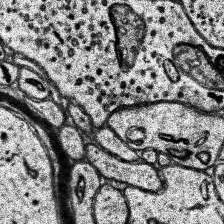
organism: Human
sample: Temporal Lobe